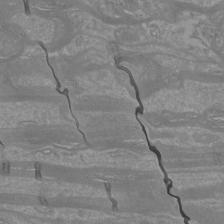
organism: Mouse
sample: Cortical neurons